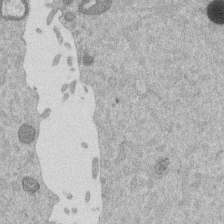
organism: Mouse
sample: Dividing mouse embryo 1 cell stage